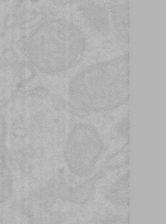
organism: Mouse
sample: Choroid plexus